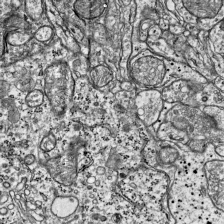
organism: Mouse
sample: Visual Cortex